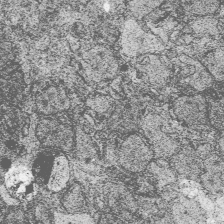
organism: Zebrafish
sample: Whole-Brain